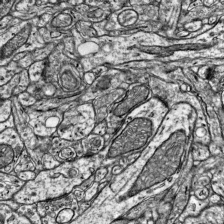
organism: Mouse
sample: Visual Cortex